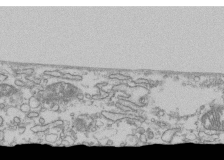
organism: Human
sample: Fibroblast cells